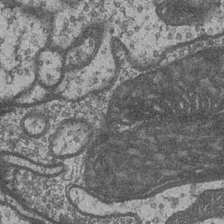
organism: Drosophila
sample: Optic medulla